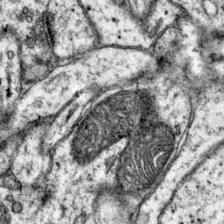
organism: Mouse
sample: Primary visual cortex